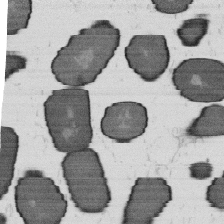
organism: B. subtilis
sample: Bacterial spore